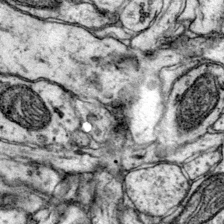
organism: Mouse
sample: Primary visual cortex